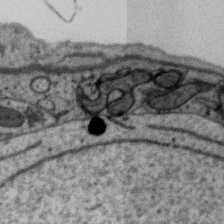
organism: Zebra finch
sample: Brain